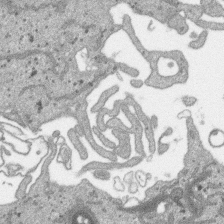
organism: Human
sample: Lung epithelial cells infected with SARS-CoV-2